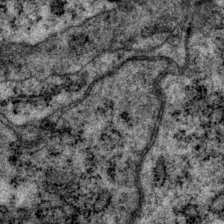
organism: P. pacificus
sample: Pharynx